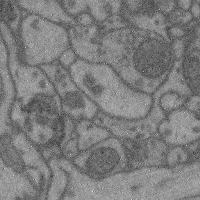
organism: Mouse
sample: Cerebral cortex